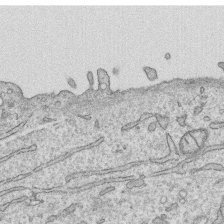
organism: Human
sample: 1205lu cells